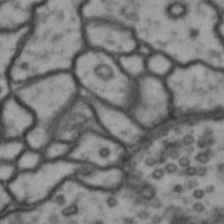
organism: Drosophila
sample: Brain